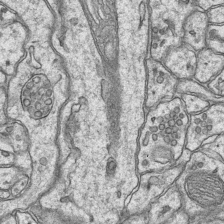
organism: Mouse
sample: CA1 Hippocampus